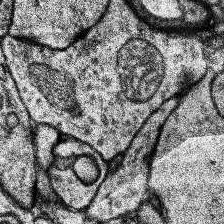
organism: Human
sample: Temporal Lobe